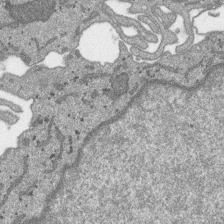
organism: Human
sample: Lung epithelial cells infected with SARS-CoV-2